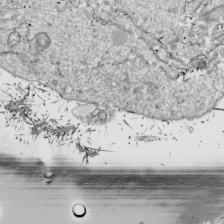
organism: Drosophila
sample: Cell division; meiosis; drosophila spermatocytes